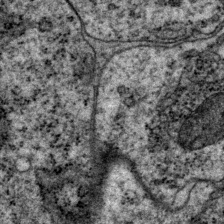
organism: P. pacificus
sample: Pharynx